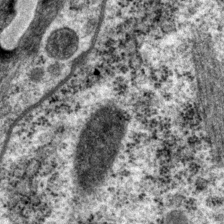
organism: P. pacificus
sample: Pharynx